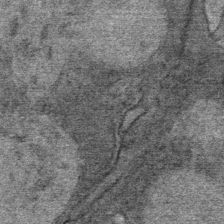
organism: Mouse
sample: Mouse Salivary gland